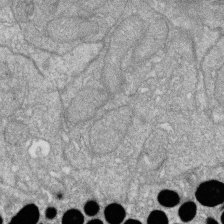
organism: Zebrafish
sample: Cilia; retinal pigment epithelium